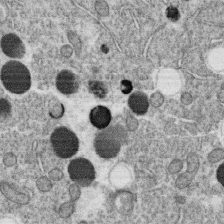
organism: C. elegans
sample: C. elegans oocyte; sperm cells